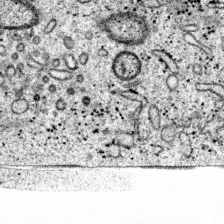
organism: Human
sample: HeLa cells